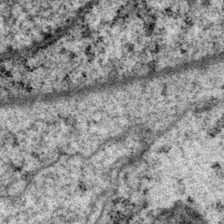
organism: P. pacificus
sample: Pharynx